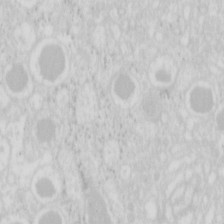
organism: Mouse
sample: Pancreas